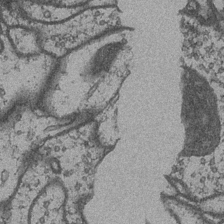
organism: Drosophila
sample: Optic medulla